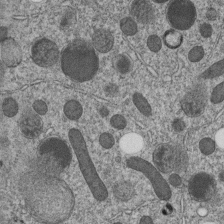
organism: C. elegans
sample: C. elegans embryo early stage